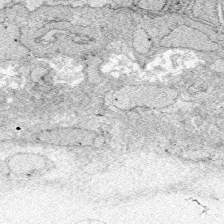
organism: Zebrafish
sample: Whole-Brain